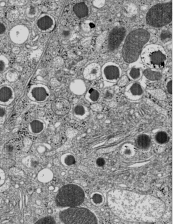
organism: C57BL Mouse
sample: Pancreatic islet